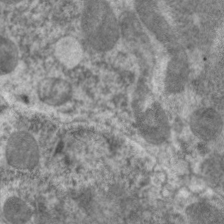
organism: C. elegans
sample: Pharynx